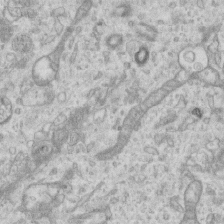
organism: Mouse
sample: Centriole in ependymal cells